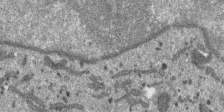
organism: Human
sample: Lung epithelial cells infected with SARS-CoV-2